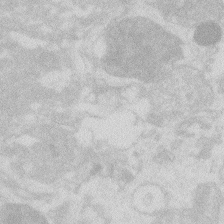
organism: Zebrafish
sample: Macrophage